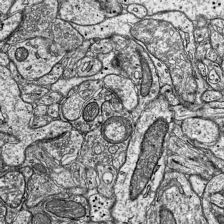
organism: Mouse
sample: Visual Cortex